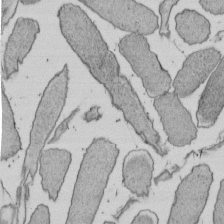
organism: E. coli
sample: Bacterial nucleoid